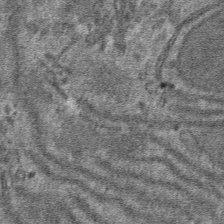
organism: Mouse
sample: Mouse hepatocytes